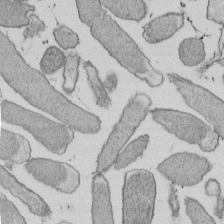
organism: E. coli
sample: Bacterial nucleoid